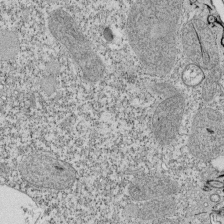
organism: Tetrahymena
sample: Cilia in tetrahymena